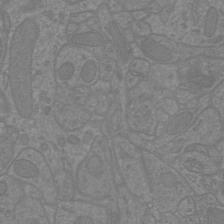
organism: Mouse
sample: Cortical neurons